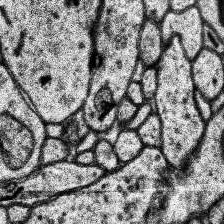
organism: Human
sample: Temporal Lobe